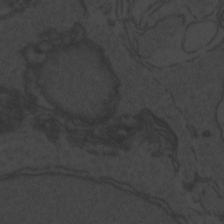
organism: Zebrafish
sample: Macrophage infected with Toxoplasma gondii